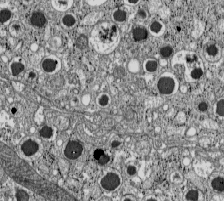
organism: C57BL Mouse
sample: Pancreatic islet